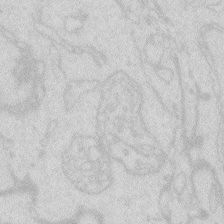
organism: Zebrafish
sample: Macrophage